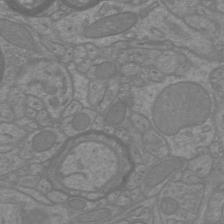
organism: Mouse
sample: Cortical neurons